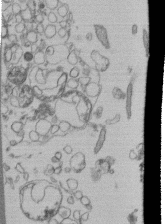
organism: Human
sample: Retinal organoid Rod and Cone cells